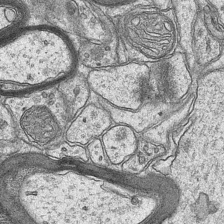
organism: Mouse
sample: CA1 Hippocampus